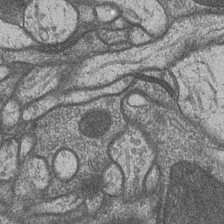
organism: Drosophila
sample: Optic medulla